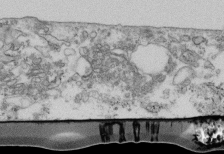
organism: Mouse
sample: Cilia; retinal pigment epithelium